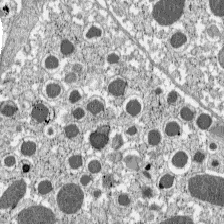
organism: C57BL Mouse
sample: Pancreatic islet